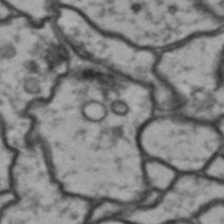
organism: Drosophila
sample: Brain